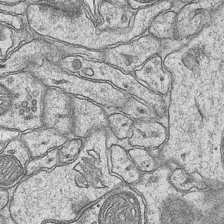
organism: Mouse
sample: CA1 Hippocampus